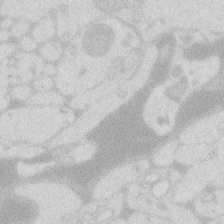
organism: Zebrafish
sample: Macrophage